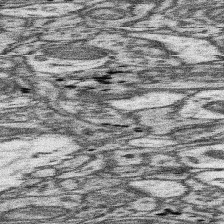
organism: Mouse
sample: Somatosensory cortex neuropil